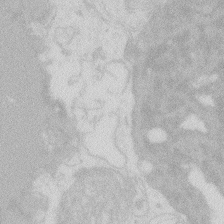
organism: Zebrafish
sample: Macrophage